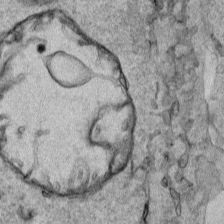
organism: Human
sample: Mitochondria in HCT116 cells